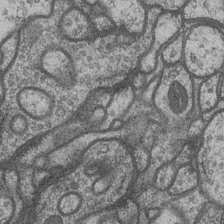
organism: Drosophila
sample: Optic medulla